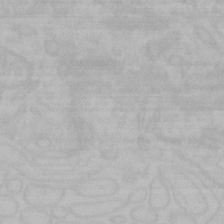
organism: Mouse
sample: Choroid plexus